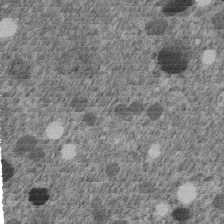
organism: C. elegans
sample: C. elegans embryo early stage